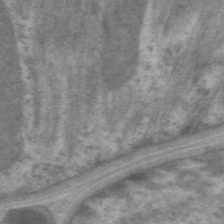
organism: C. elegans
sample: Pharynx